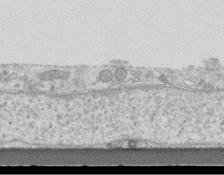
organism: Mouse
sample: Centriole in ependymal cells